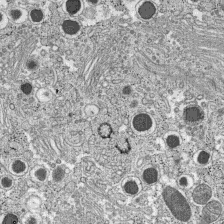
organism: C57BL Mouse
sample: Pancreatic islet